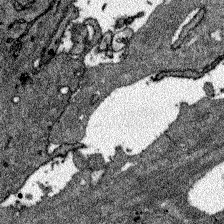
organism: Zebrafish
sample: Larval olfactory bulb